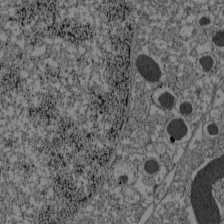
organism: C57BL Mouse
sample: Pancreatic islet